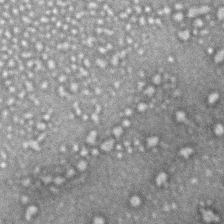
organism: Zebrafish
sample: Zebrafish embryo